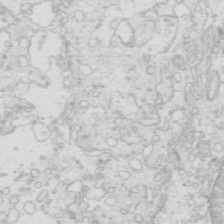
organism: Mouse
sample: Multiciliated cells